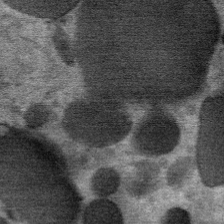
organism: Mouse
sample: Mouse Salivary gland